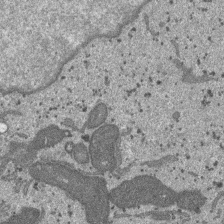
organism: Human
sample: Lung epithelial cells infected with SARS-CoV-2